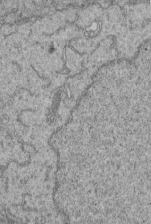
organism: Human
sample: Retinal organoid Rod and Cone cells